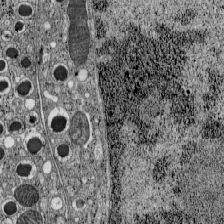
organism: C57BL Mouse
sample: Pancreatic islet